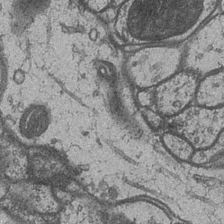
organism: Drosophila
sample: Optic medulla